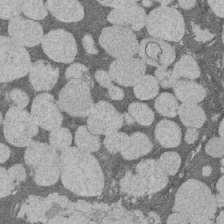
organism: Rat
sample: Salivary granule